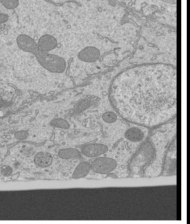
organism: Mouse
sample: Cilia; mouse epididymis